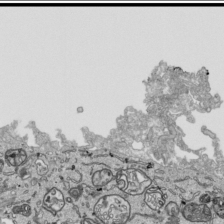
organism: Human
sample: Mitochondria in HCT116 cells